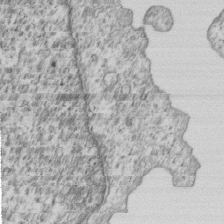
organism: Human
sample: MDA-MB-231 cells